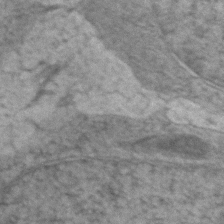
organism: Zebrafish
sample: Zebrafish embryo